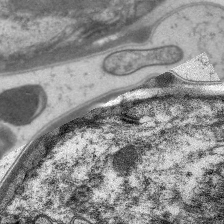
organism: C. elegans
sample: Pharynx